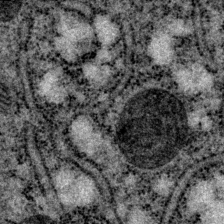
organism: P. pacificus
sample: Pharynx